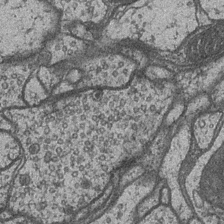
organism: Drosophila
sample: Optic medulla